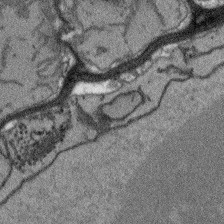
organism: Arabidopsis thaliana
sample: Root tip